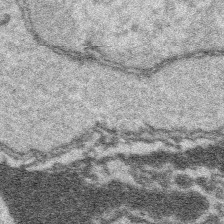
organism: Platynereis dumerilii